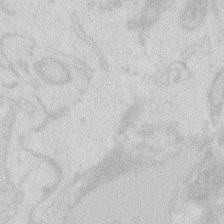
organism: Zebrafish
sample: Macrophage